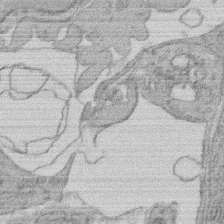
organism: Rat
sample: Salivary granule